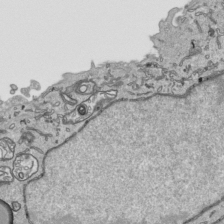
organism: Human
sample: Mitochondria in HCT116 cells